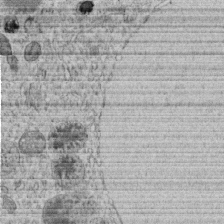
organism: C. elegans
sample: C. elegans embryo early stage